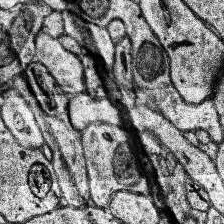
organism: Human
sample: Temporal Lobe